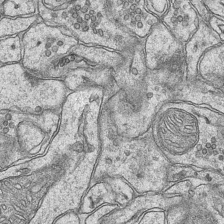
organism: Mouse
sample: CA1 Hippocampus